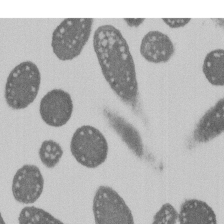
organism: E. coli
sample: Bacterial nucleoid